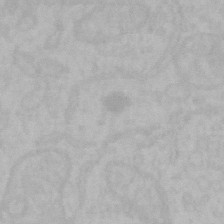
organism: Mouse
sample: Choroid plexus